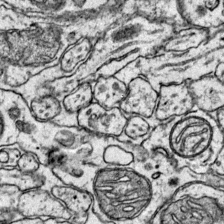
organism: Mouse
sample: Primary visual cortex